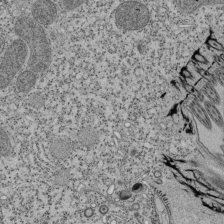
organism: Tetrahymena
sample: Cilia in tetrahymena